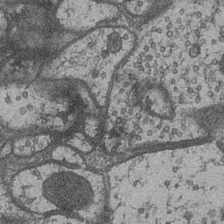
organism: Drosophila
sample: Optic medulla